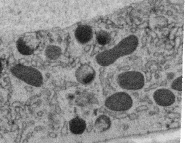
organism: C. elegans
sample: C. elegans oocyte; sperm cells